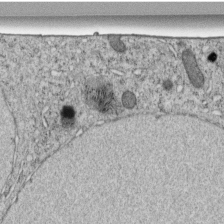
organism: C. elegans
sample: C. elegans embryo early stage